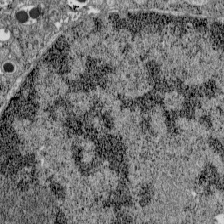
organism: C57BL Mouse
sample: Pancreatic islet